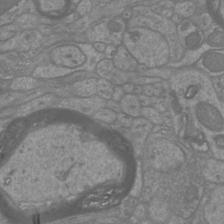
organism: Mouse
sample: Cortical neurons